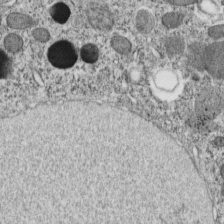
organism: C. elegans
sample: C. elegans embryo early stage